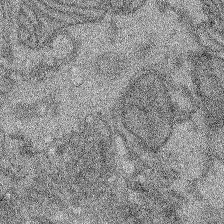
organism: Human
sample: HeLa cells